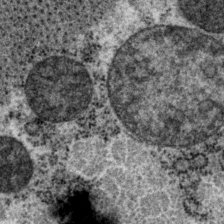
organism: P. pacificus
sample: Pharynx